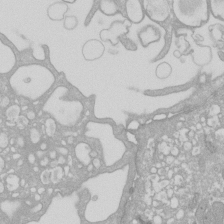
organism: Xenopus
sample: Cilia; centrioles in frog embryo cells